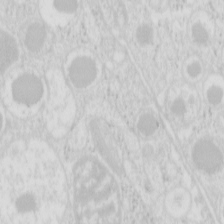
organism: Mouse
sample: Pancreas